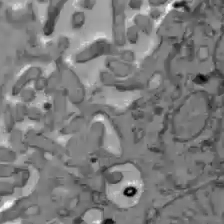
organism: C57BL Mouse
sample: Liver